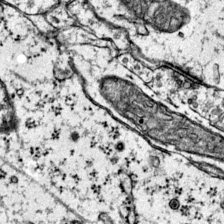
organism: Mouse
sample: Primary visual cortex